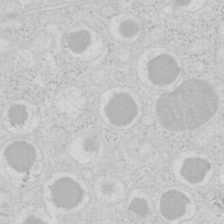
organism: Mouse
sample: Pancreas